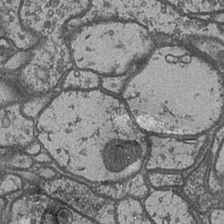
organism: Drosophila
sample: Optic medulla